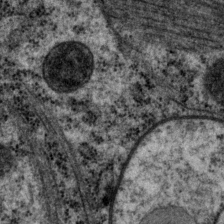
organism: P. pacificus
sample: Pharynx